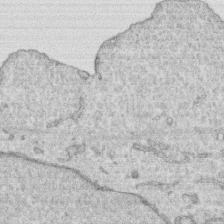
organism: Human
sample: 1205lu cells